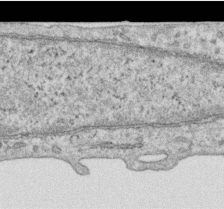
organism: Human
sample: Centriole in RPE cells